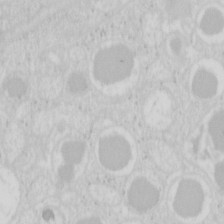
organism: Mouse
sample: Pancreas